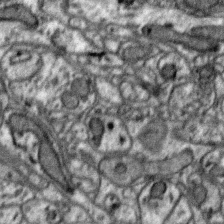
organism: Zebra finch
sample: Brain